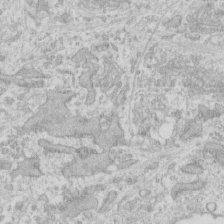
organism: Human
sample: Fibroblast cells